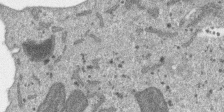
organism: Human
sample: Lung epithelial cells infected with SARS-CoV-2